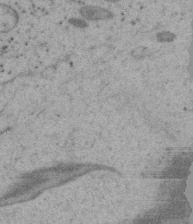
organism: Human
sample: HeLa cells